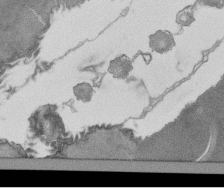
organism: Tetrahymena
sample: Cilia in tetrahymena